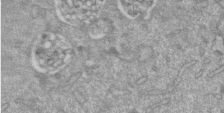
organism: Mouse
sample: ED-1 cell nuclei; centrioles